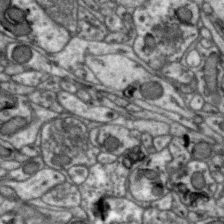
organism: Zebra finch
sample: Brain